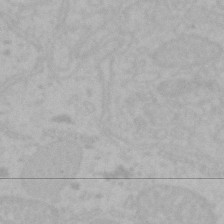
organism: Mouse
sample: Choroid plexus